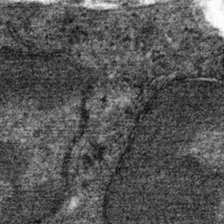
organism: Mouse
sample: Mouse hepatocytes